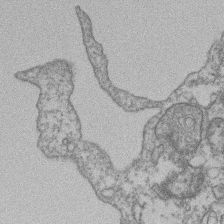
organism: Mouse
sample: T cell stromal cell synapse